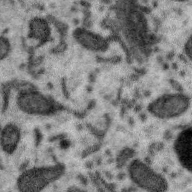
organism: Zebra finch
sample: Brain